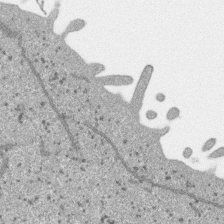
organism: Human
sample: Lung epithelial cells infected with SARS-CoV-2